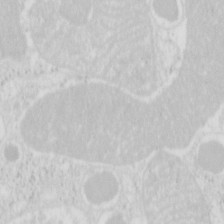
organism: Mouse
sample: Pancreas